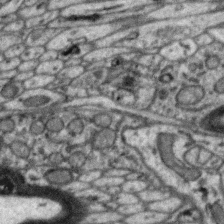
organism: Zebra finch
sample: Brain